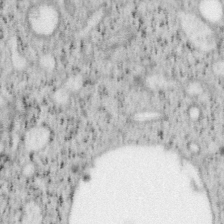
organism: Mouse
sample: OT-I killer T cells with ID8 ovarian cancer cells